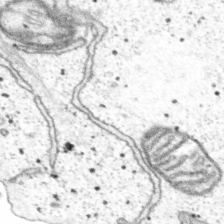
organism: Human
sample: HeLa cells